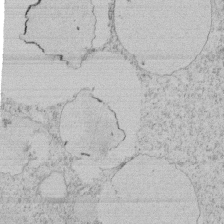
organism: Tetrahymena